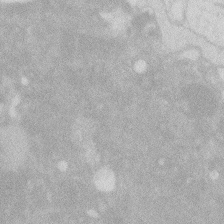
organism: Zebrafish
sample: Macrophage